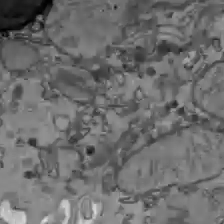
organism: C57BL Mouse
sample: Liver